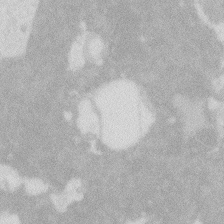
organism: Zebrafish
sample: Macrophage